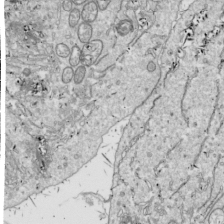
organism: Drosophila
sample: Cell division; meiosis; drosophila spermatocytes